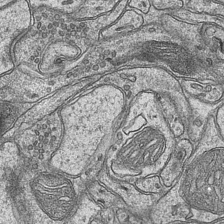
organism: Mouse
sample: CA1 Hippocampus